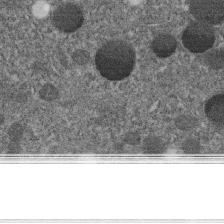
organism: C. elegans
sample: C. elegans embryo early stage